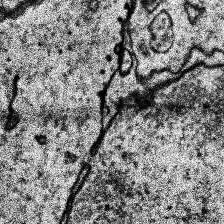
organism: Human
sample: Temporal Lobe